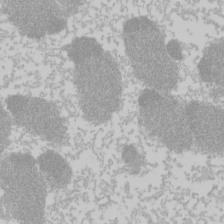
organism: Mouse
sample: Cancer cell death in ED-1 cells